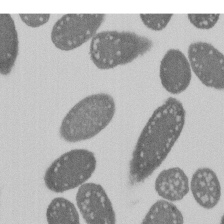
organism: E. coli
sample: Bacterial nucleoid